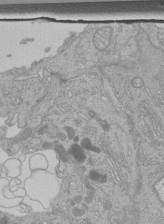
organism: Human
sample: Retinal organoid Rod and Cone cells